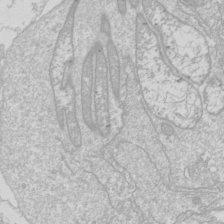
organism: Drosophila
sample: Cell division; meiosis; drosophila spermatocytes